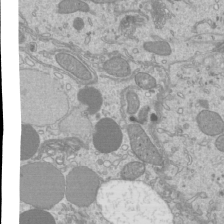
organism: Mouse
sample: Cilia; mouse epididymis